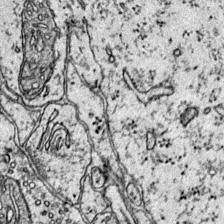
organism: Mouse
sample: Primary visual cortex